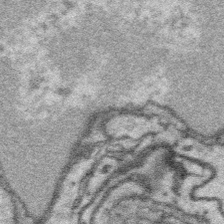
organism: Platynereis dumerilii